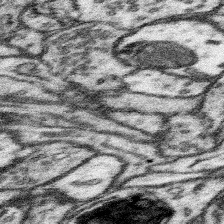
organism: Mouse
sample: Somatosensory cortex neuropil